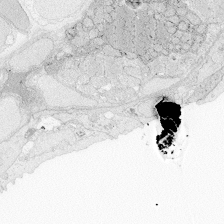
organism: Zebrafish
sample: Whole-Brain